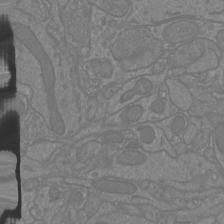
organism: Mouse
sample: Cortical neurons